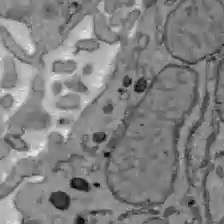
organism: C57BL Mouse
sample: Liver